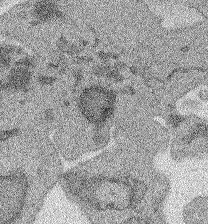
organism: Human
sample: HeLa cells